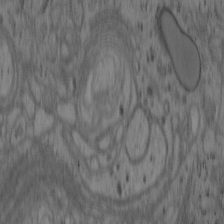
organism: Human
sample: HeLa cells